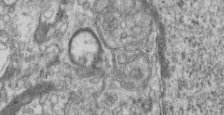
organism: Mouse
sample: Centriole in ependymal cells